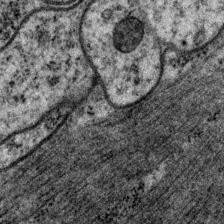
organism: P. pacificus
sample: Pharynx